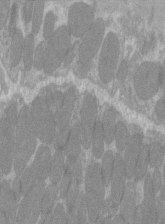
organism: C57BL Mouse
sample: Tibialis anterior muscle cell